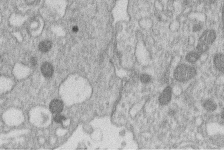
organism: Human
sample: Macrophage cells